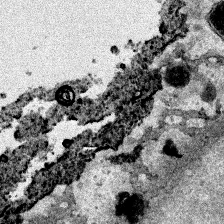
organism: Human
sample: Mitochondria in HCT116 cells